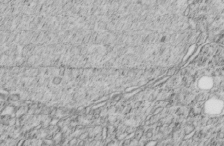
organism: C. elegans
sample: C. elegans embryo early stage